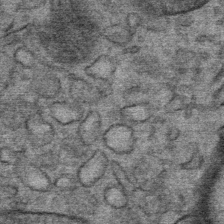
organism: Mouse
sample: Mouse Salivary gland